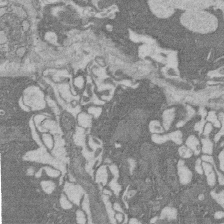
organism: Rat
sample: Salivary granule